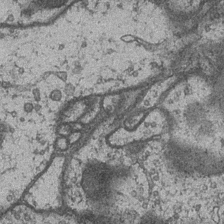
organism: Drosophila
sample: Optic medulla